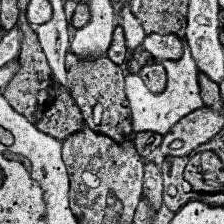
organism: Human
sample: Temporal Lobe